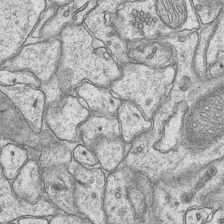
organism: Mouse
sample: CA1 Hippocampus